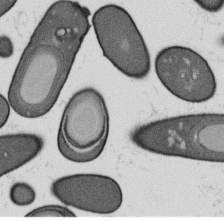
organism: B. subtilis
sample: Bacterial spore